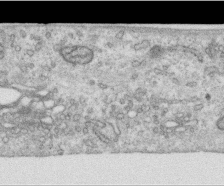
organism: Human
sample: Centriole in RPE cells